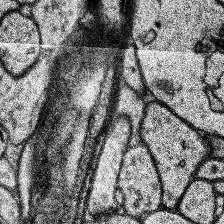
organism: Human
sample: Temporal Lobe